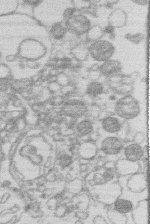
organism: Human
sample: Macrophage cells